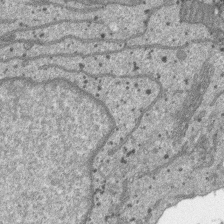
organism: Human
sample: Lung epithelial cells infected with SARS-CoV-2